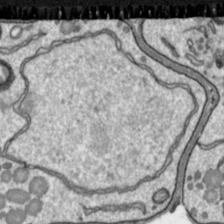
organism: Toxoplasma gondii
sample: Parasites in a vacuole inside a host cell